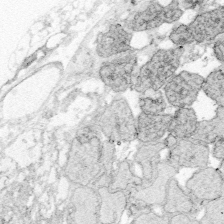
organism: Zebrafish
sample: Whole-Brain